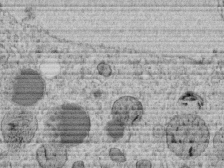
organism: C. elegans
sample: C. elegans embryo early stage